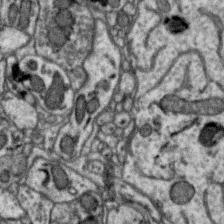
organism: Zebra finch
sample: Brain